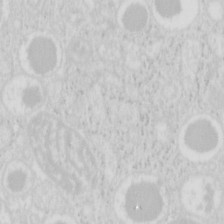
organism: Mouse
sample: Pancreas